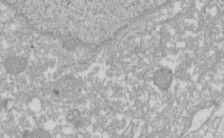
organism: Xenopus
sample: Cilia; centrioles in frog embryo cells